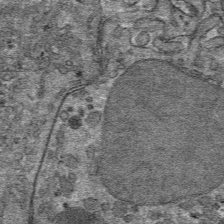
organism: Mouse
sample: Mouse hepatocytes